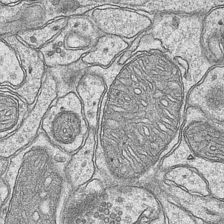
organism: Mouse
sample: CA1 Hippocampus